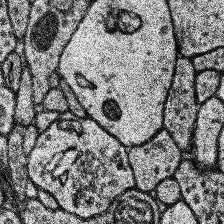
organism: Human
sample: Temporal Lobe